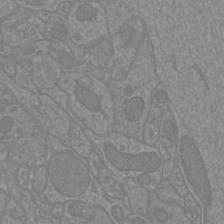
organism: Mouse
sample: Cortical neurons